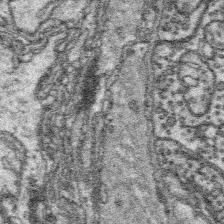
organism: Platynereis dumerilii